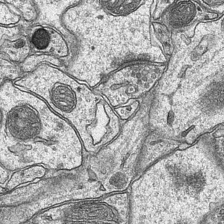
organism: Mouse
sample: CA1 Hippocampus